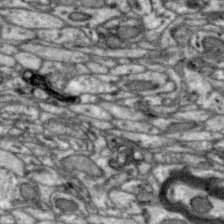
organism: Zebra finch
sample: Brain